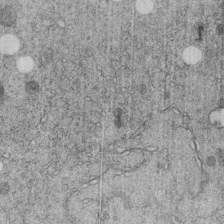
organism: C. elegans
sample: C. elegans embryo early stage